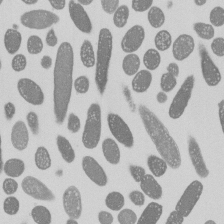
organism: E. coli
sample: Bacterial nucleoid